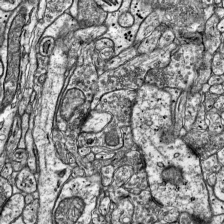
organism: Mouse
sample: Visual Cortex